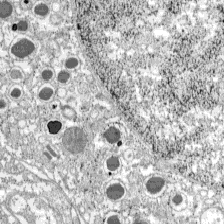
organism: C57BL Mouse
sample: Pancreatic islet